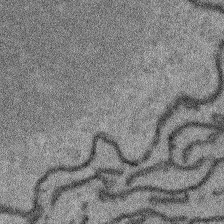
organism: Arabidopsis thaliana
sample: Root tip